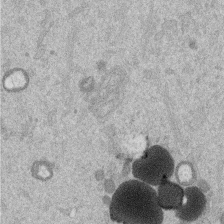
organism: Mouse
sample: Dividing mouse embryo 1 cell stage